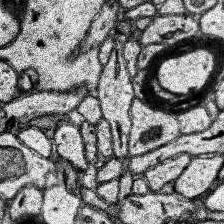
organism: Human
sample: Temporal Lobe